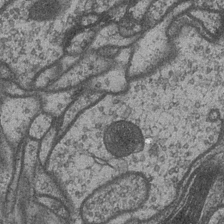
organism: Drosophila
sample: Optic medulla